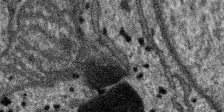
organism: Human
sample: Lung epithelial cells infected with SARS-CoV-2